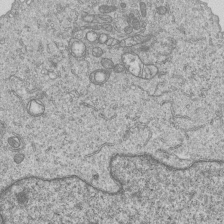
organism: Human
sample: MDA-MB-231 cells